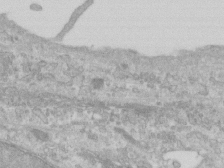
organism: Human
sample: Centriole in RPE cells